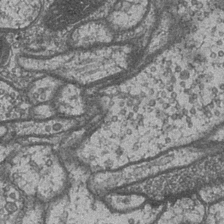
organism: Drosophila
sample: Optic medulla